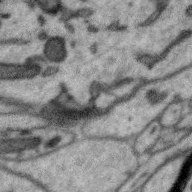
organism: Zebra finch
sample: Brain